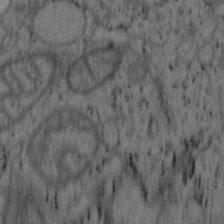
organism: Human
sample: HeLa cells